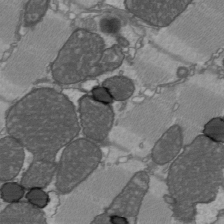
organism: C57BL Mouse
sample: Heart